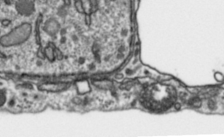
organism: Toxoplasma gondii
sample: Parasites in a vacuole inside a host cell